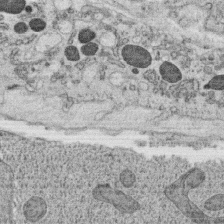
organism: C. elegans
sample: C. elegans oocyte; sperm cells